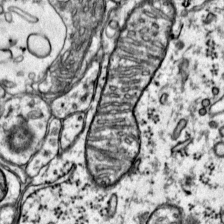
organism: Mouse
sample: Primary visual cortex